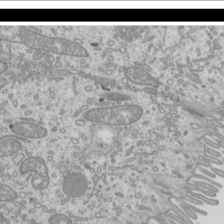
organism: Mouse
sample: Cilia; mouse epididymis